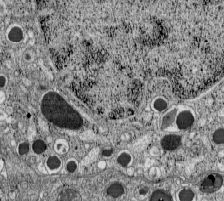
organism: C57BL Mouse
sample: Pancreatic islet